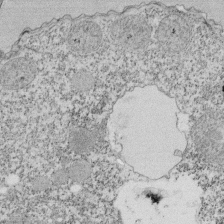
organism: Tetrahymena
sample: Cilia in tetrahymena